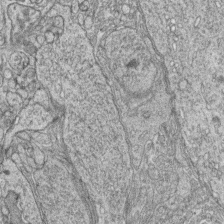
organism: Zebrafish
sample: synaptic ribbons in rod cells and cone cells